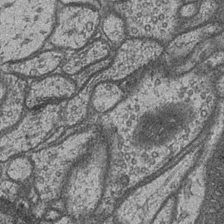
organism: Drosophila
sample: Optic medulla